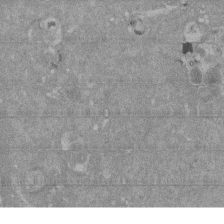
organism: Mouse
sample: ED-1 cell nuclei; centrioles